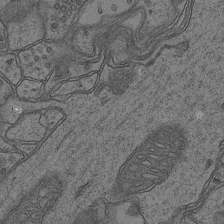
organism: Mouse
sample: CA1 Hippocampus